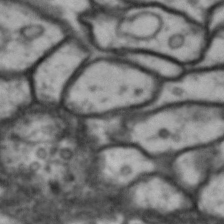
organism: Drosophila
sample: Brain